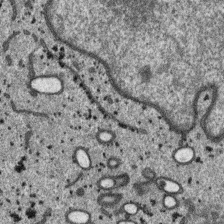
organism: Human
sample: Lung epithelial cells infected with SARS-CoV-2